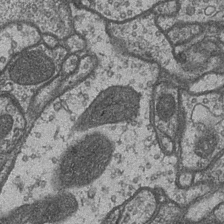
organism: Drosophila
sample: Optic medulla